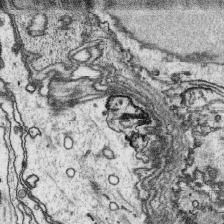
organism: Platynereis dumerilii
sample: Parapodia